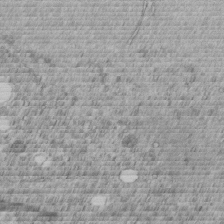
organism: C. elegans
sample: C. elegans embryo early stage